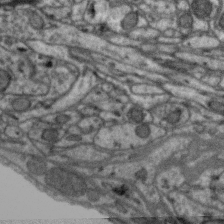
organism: Zebra finch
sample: Brain